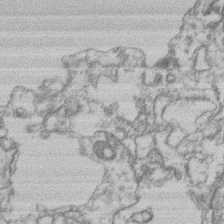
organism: Mouse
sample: T cell stromal cell synapse